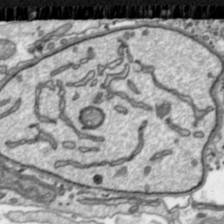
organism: Toxoplasma gondii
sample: Parasites in a vacuole inside a host cell